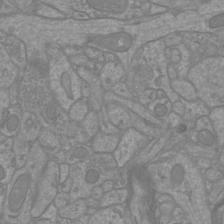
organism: Mouse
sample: Cortical neurons